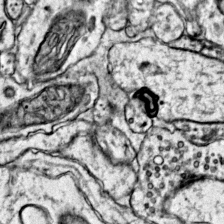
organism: Mouse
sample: Primary visual cortex